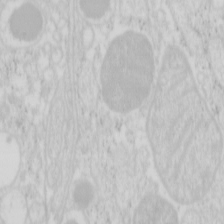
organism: Mouse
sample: Pancreas